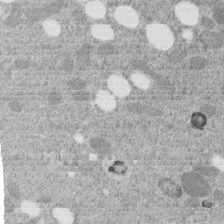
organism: C. elegans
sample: C. elegans embryo early stage